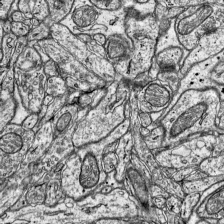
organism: Mouse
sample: Visual Cortex